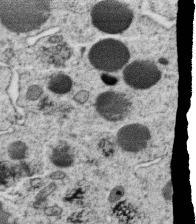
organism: C. elegans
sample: C. elegans oocyte; sperm cells